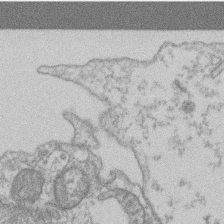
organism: Mouse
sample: T cell stromal cell synapse